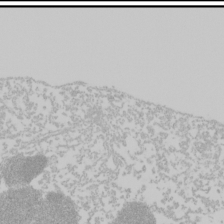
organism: Mouse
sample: Cancer cell death in ED-1 cells